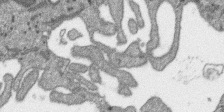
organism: Human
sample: Lung epithelial cells infected with SARS-CoV-2